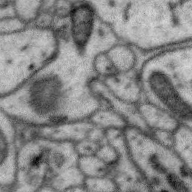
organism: Zebra finch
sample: Brain